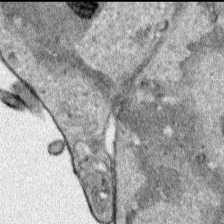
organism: Human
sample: Mitochondria in HCT116 cells